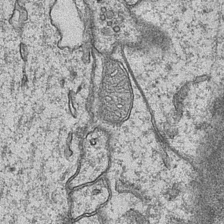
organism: Mouse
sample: CA1 Hippocampus